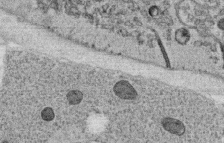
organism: C. elegans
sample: C. elegans oocyte; sperm cells